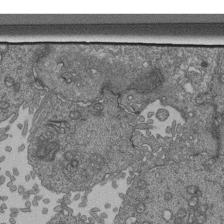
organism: Human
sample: Retinal organoid Rod and Cone cells